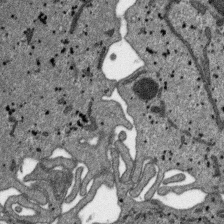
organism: Human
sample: Lung epithelial cells, uninfected (mock) control